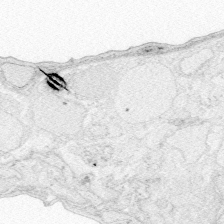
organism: Zebrafish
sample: Whole-Brain